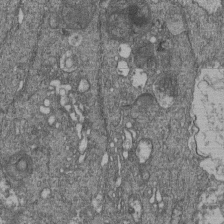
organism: Human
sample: Retinal organoid Rod and Cone cells